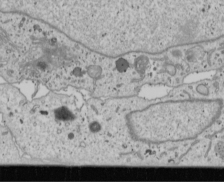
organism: Human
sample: Mitochondria in U2OS cells